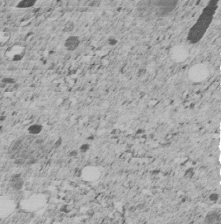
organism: C. elegans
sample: C. elegans embryo early stage